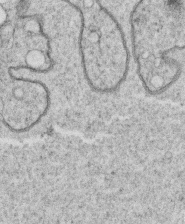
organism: C. elegans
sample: C. elegans oocyte; sperm cells